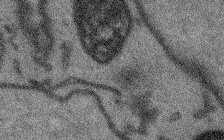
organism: Arabidopsis thaliana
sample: Root tip